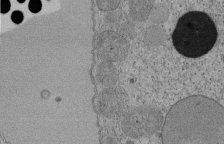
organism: Tetrahymena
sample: Cilia in tetrahymena